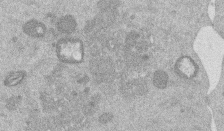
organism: Mouse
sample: Dividing mouse embryo 1 cell stage